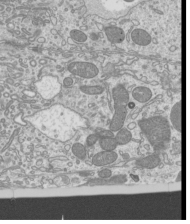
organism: Mouse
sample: Cilia; mouse epididymis